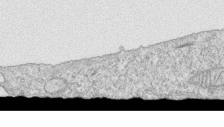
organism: Human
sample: HeLa cell HIV synapse